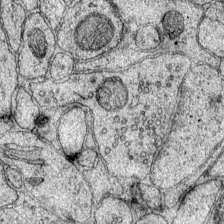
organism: Mouse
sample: Primary visual cortex